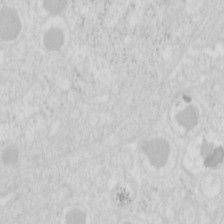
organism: Mouse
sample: Pancreas